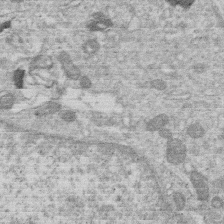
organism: Human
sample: Macrophage cells